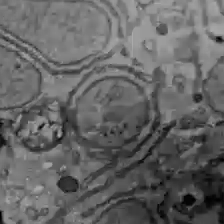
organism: C57BL Mouse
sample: Liver